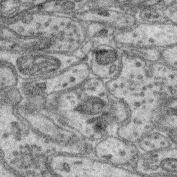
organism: Mouse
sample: Retina